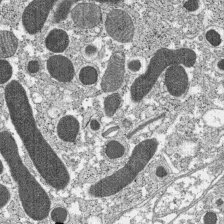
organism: C57BL Mouse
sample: Pancreatic islet